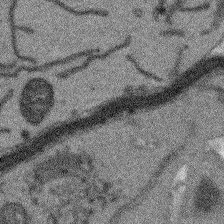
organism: Arabidopsis thaliana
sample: Root tip